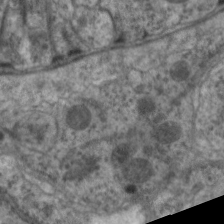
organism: C. elegans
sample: Pharynx